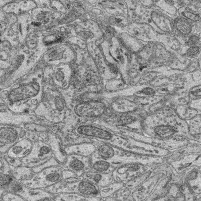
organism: Mouse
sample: Retina